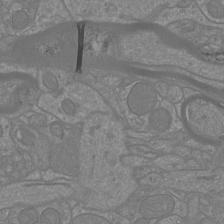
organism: Mouse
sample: Cortical neurons